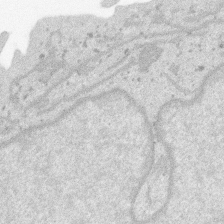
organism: Human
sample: Lung epithelial cells infected with SARS-CoV-2